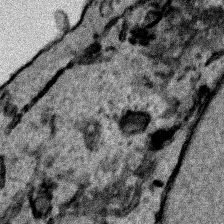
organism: Human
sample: Mitochondria in HCT116 cells